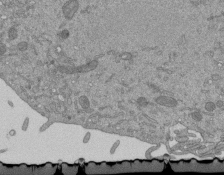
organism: Mouse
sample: ED-1 cell nuclei; centrioles